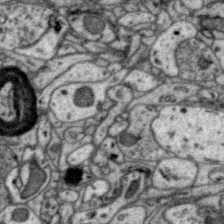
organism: Zebra finch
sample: Brain